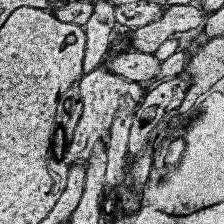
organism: Human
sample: Temporal Lobe